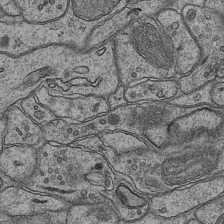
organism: Mouse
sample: CA1 Hippocampus